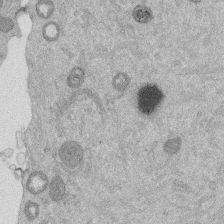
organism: Mouse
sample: Dividing mouse embryo 1 cell stage